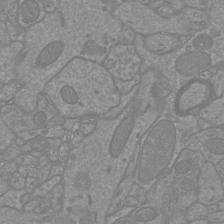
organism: Mouse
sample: Cortical neurons